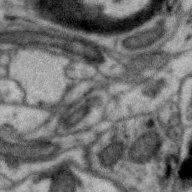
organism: Zebra finch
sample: Brain